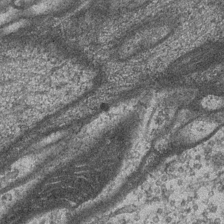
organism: Drosophila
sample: Optic medulla